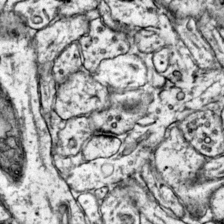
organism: Mouse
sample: Primary visual cortex